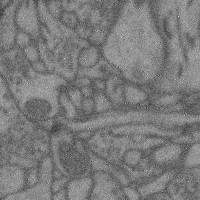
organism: Mouse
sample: Cerebral cortex